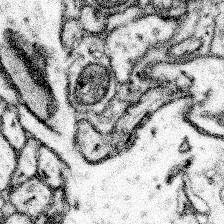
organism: Mouse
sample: Somatosensory cortex neuropil